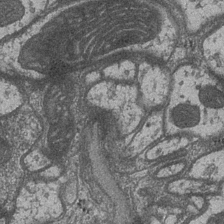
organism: Drosophila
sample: Optic medulla